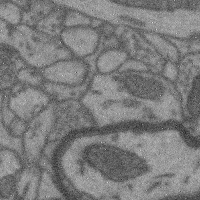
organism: Mouse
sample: Cerebral cortex